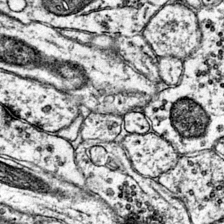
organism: Mouse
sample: Primary visual cortex